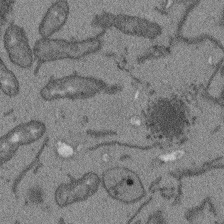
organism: Arabidopsis thaliana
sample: Root tip